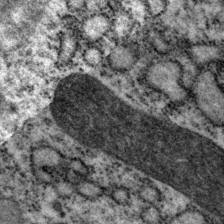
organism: P. pacificus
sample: Pharynx